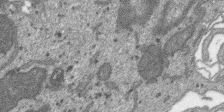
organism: Human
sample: Lung epithelial cells infected with SARS-CoV-2